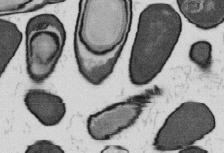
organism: B. subtilis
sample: Bacterial spore